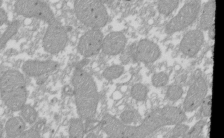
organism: Xenopus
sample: Cilia; centrioles in frog embryo cells